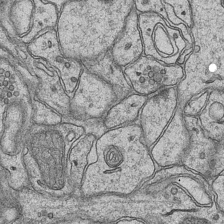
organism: Mouse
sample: CA1 Hippocampus